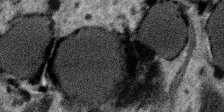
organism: Human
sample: Lung epithelial cells infected with SARS-CoV-2